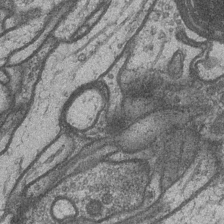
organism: Drosophila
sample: Optic medulla